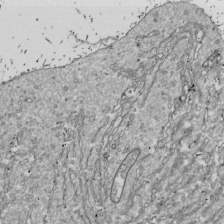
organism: Drosophila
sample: Cell division; meiosis; drosophila spermatocytes